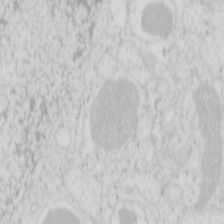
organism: Mouse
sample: Pancreas